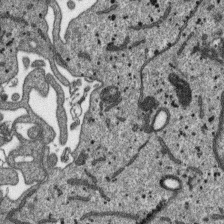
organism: Human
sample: Lung epithelial cells infected with SARS-CoV-2